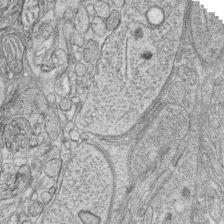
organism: Zebrafish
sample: synaptic ribbons in rod cells and cone cells